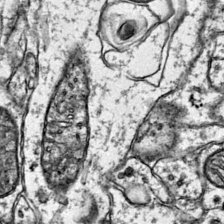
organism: Mouse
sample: Primary visual cortex